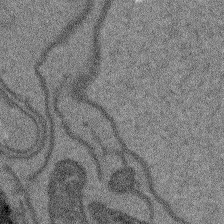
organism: Arabidopsis thaliana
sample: Root tip